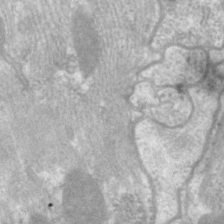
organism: C. elegans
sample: Pharynx